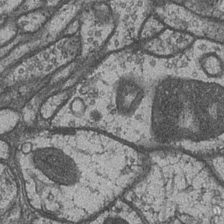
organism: Drosophila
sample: Optic medulla